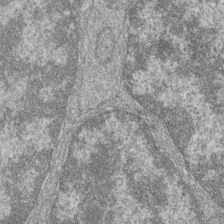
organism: Zebrafish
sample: Cilia; retinal pigment epithelium